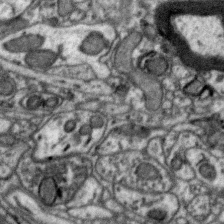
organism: Zebra finch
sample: Brain